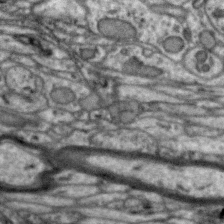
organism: Zebra finch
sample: Brain